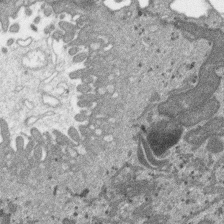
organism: Human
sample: Lung epithelial cells infected with SARS-CoV-2